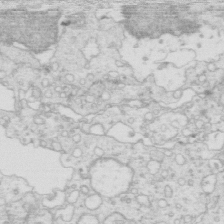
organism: Mouse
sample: Multiciliated cells